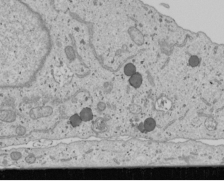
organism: Human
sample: Mitochondria in U2OS cells